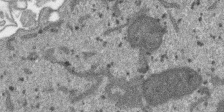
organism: Human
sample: Lung epithelial cells infected with SARS-CoV-2